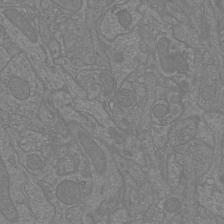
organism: Mouse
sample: Cortical neurons